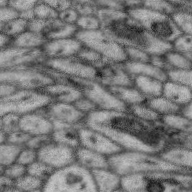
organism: Zebra finch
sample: Brain